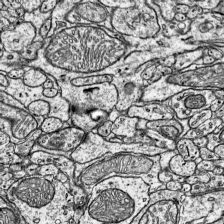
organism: Mouse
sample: Visual Cortex